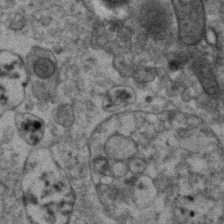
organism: Human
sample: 1205lu cells